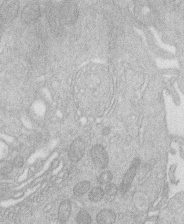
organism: Human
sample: Macrophage cells